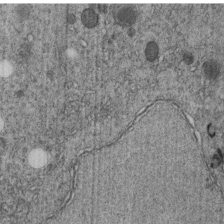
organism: C. elegans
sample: C. elegans embryo early stage